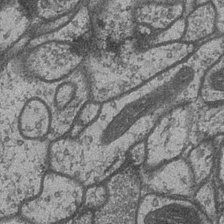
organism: Drosophila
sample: Optic medulla